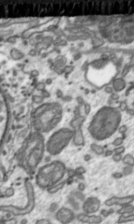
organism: Toxoplasma gondii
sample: Parasites in a vacuole inside a host cell